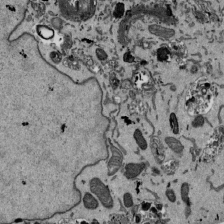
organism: Mouse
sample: ED-1 cell nuclei; centrioles